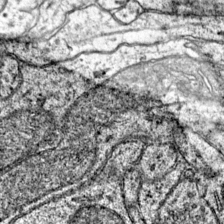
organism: Mouse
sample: Primary visual cortex